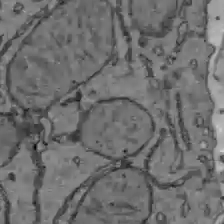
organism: C57BL Mouse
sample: Liver